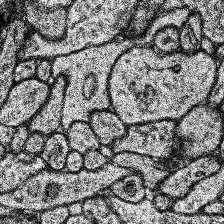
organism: Human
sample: Temporal Lobe